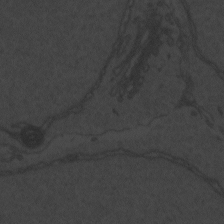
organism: Zebrafish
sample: Macrophage infected with Toxoplasma gondii